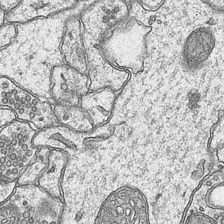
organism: Mouse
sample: CA1 Hippocampus